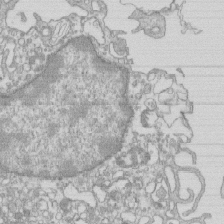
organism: Mouse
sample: Macrophages